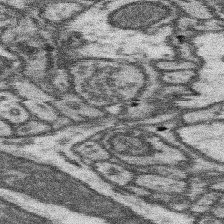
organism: Mouse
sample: Somatosensory cortex neuropil